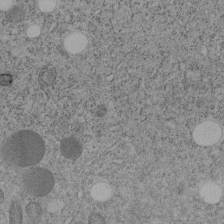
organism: C. elegans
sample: C. elegans embryo early stage